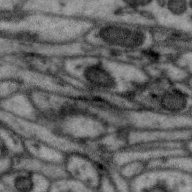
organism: Zebra finch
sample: Brain